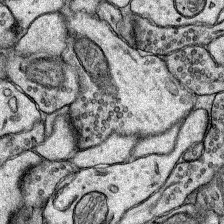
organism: Rat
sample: Hippocampus